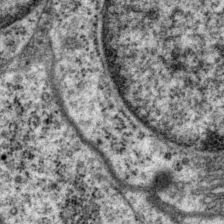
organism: P. pacificus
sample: Pharynx